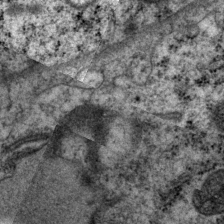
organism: P. pacificus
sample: Pharynx